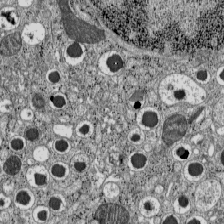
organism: C57BL Mouse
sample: Pancreatic islet